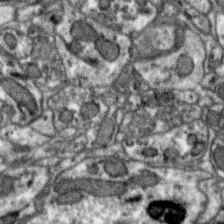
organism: Zebra finch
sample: Brain